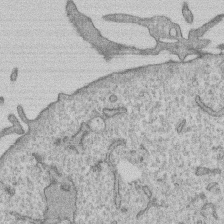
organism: Human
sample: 1205lu cells